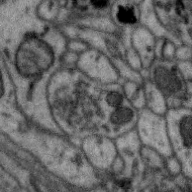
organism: Zebra finch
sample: Brain